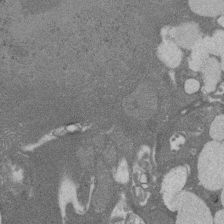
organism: Rat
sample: Salivary granule